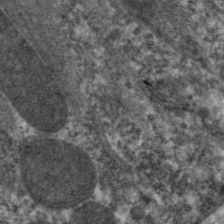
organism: C. elegans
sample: Pharynx